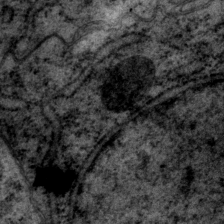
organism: P. pacificus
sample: Pharynx